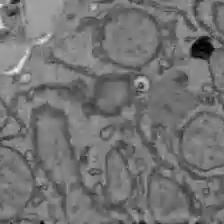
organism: C57BL Mouse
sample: Liver